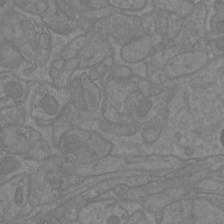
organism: Mouse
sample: Cortical neurons